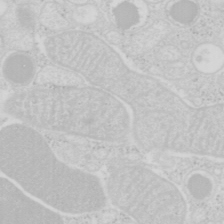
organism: Mouse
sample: Pancreas